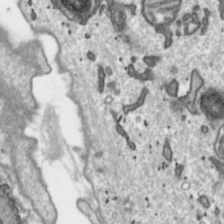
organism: Toxoplasma gondii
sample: Parasites in a vacuole inside a host cell